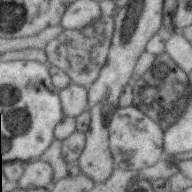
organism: Zebra finch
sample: Brain